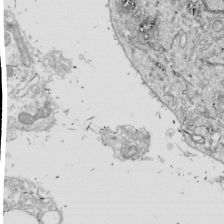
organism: Drosophila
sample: Cell division; meiosis; drosophila spermatocytes